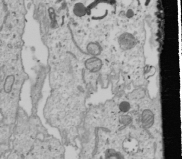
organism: Human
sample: Mitochondria in U2OS cells